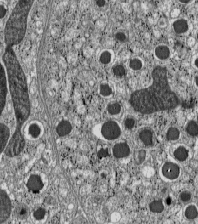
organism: C57BL Mouse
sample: Pancreatic islet